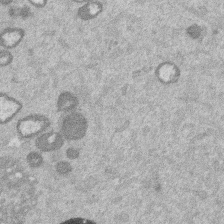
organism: Mouse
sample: Dividing mouse embryo 1 cell stage